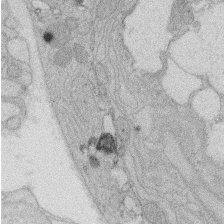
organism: Rat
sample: Salivary granule